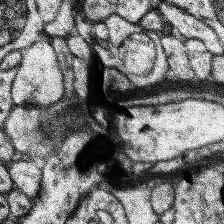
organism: Human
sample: Temporal Lobe